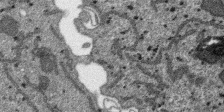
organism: Human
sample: Lung epithelial cells infected with SARS-CoV-2